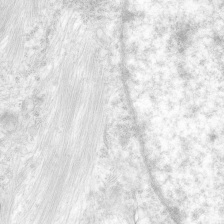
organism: Human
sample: Neocortex